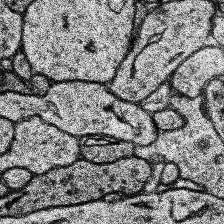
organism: Human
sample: Temporal Lobe